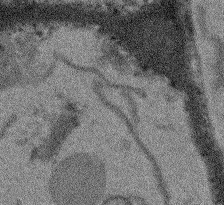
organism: Arabidopsis thaliana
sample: Root tip